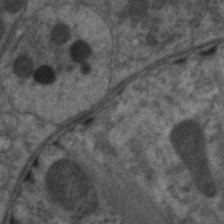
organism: C. elegans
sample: Pharynx